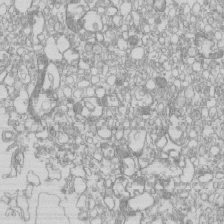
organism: Mouse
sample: Macrophages